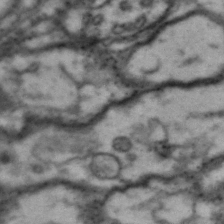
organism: Drosophila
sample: Brain